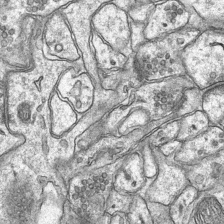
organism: Mouse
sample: CA1 Hippocampus